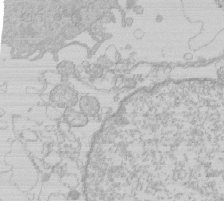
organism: Human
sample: Macrophage cells